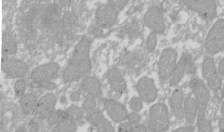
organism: Xenopus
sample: Cilia; centrioles in frog embryo cells